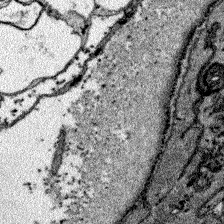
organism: Zebrafish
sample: Larval olfactory bulb